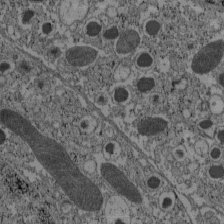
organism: C57BL Mouse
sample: Pancreatic islet